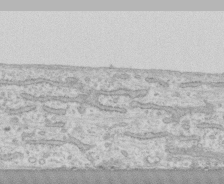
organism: Human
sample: CRL-1474